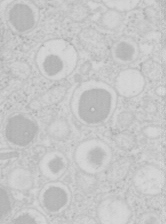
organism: Mouse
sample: Pancreas